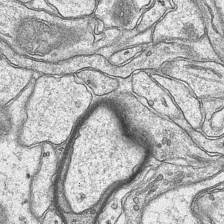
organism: Mouse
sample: CA1 Hippocampus